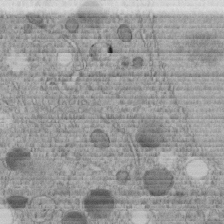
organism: C. elegans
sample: C. elegans embryo early stage